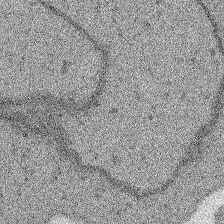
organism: Human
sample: HeLa cells